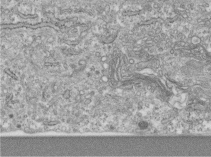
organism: Human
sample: Centriole in RPE cells